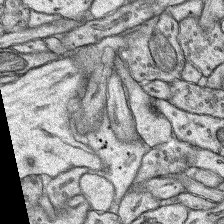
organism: Rat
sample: Hippocampus